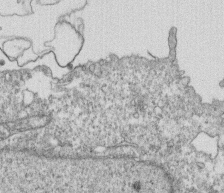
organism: Human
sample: HeLa cell HIV synapse